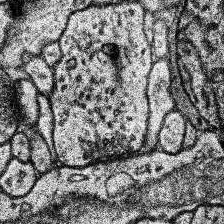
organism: Human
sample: Temporal Lobe